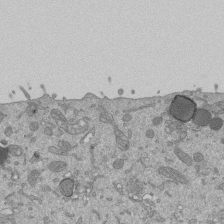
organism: Mouse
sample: ED-1 cell nuclei; centrioles